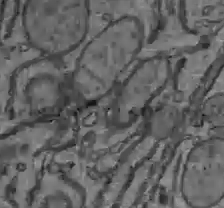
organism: C57BL Mouse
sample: Liver